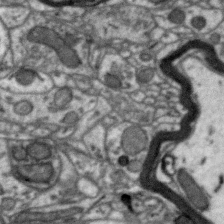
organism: Zebra finch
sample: Brain